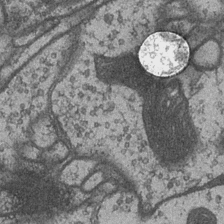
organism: Drosophila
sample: Optic medulla